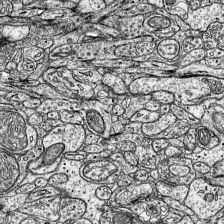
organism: Mouse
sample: Visual Cortex